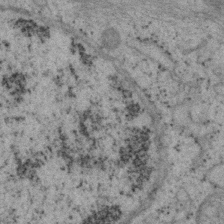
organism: Human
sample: HeLa cells